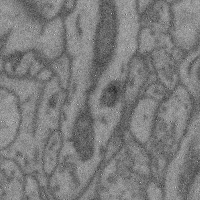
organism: Mouse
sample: Cerebral cortex